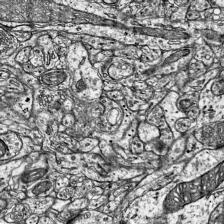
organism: Mouse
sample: Visual Cortex